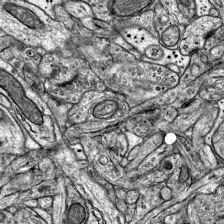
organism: Mouse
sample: Visual Cortex